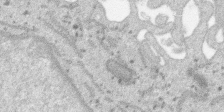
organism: Human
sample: Lung epithelial cells infected with SARS-CoV-2